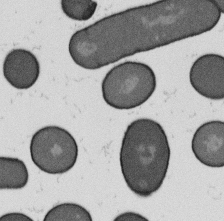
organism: B. subtilis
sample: Bacterial spore